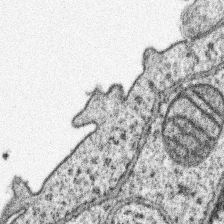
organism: Human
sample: HeLa cells